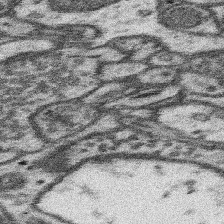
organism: Mouse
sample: Somatosensory cortex neuropil